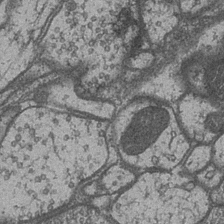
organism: Drosophila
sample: Optic medulla